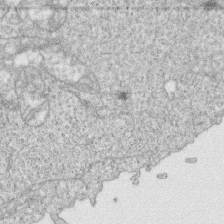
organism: Human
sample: HeLa cell HIV synapse